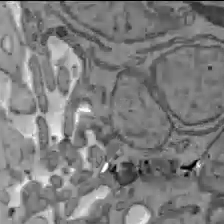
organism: C57BL Mouse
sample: Liver